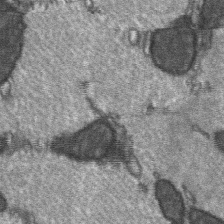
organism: C57BL Mouse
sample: Soleus